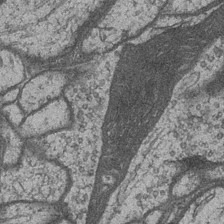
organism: Drosophila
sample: Optic medulla